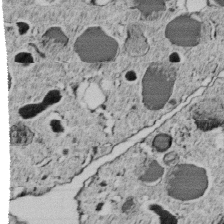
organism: C. elegans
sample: C. elegans embryo early stage